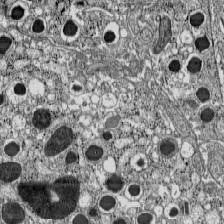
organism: C57BL Mouse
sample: Pancreatic islet